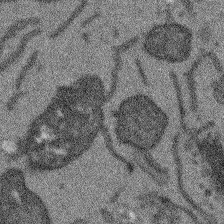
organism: Arabidopsis thaliana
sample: Root tip